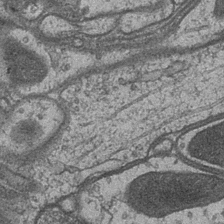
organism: Drosophila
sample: Optic medulla